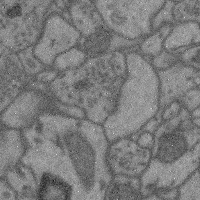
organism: Mouse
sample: Cerebral cortex